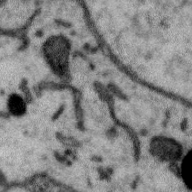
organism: Zebra finch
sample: Brain